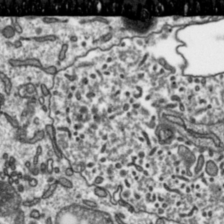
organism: Toxoplasma gondii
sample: Parasites in a vacuole inside a host cell